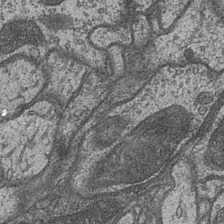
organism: Drosophila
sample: Optic medulla